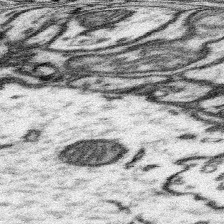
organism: Mouse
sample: Somatosensory cortex neuropil